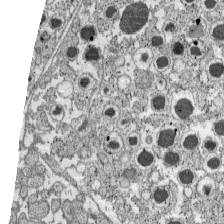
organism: C57BL Mouse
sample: Pancreatic islet